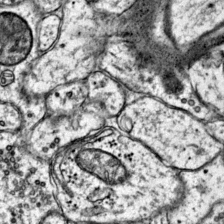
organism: Mouse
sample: Primary visual cortex